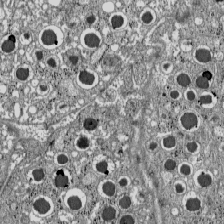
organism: C57BL Mouse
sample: Pancreatic islet